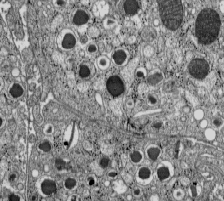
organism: C57BL Mouse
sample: Pancreatic islet